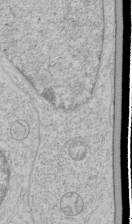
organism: Human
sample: Mitochondria in HCT116 cells